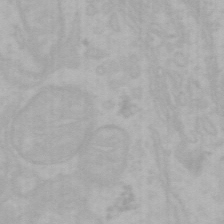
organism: Mouse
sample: Choroid plexus